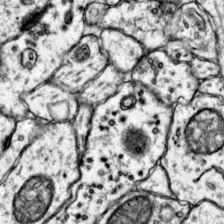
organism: Mouse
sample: Primary visual cortex